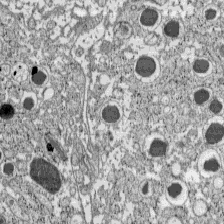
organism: C57BL Mouse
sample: Pancreatic islet